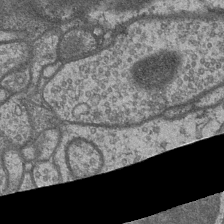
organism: Drosophila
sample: Optic medulla